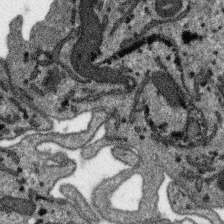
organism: Human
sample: Lung epithelial cells infected with SARS-CoV-2